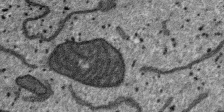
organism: Human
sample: Lung epithelial cells, uninfected (mock) control